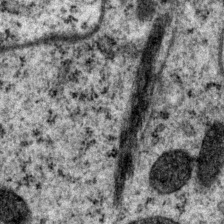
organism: P. pacificus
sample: Pharynx